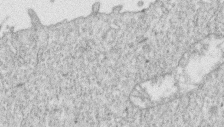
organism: Human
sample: HeLa cell HIV synapse